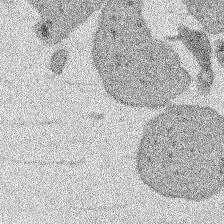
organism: Human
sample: HeLa cells